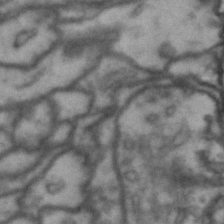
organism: Drosophila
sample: Brain